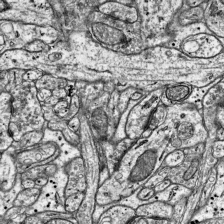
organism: Mouse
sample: Visual Cortex